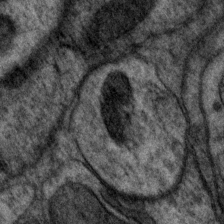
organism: P. pacificus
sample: Pharynx